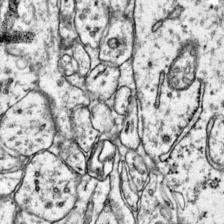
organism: Mouse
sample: Primary visual cortex